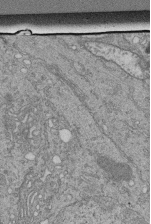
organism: Human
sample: Retinal organoid Rod and Cone cells